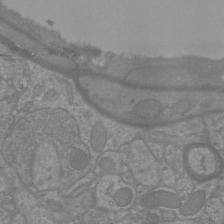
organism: Mouse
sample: Cortical neurons